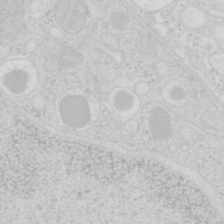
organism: Mouse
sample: Pancreas